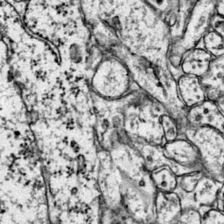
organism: Mouse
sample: Primary visual cortex